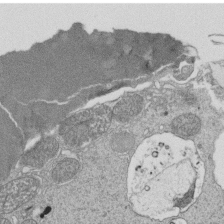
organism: Tetrahymena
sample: Cilia in tetrahymena